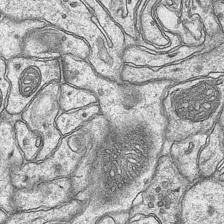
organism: Mouse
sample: CA1 Hippocampus